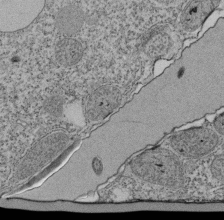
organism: Tetrahymena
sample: Cilia in tetrahymena